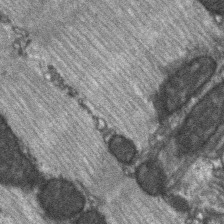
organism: C57BL Mouse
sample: Soleus